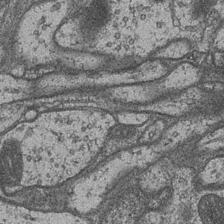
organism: Drosophila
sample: Optic medulla